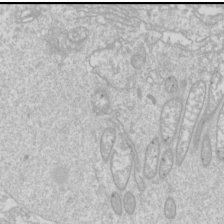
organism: Drosophila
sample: Cell division; meiosis; drosophila spermatocytes